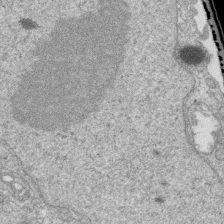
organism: Human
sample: HeLa cell HIV synapse